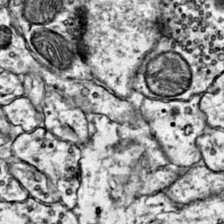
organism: Mouse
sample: Primary visual cortex